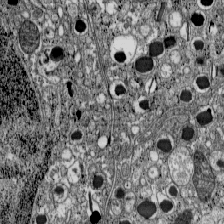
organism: C57BL Mouse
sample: Pancreatic islet